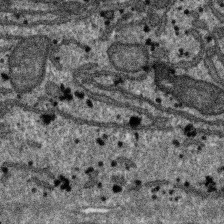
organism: Human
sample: Lung epithelial cells infected with SARS-CoV-2